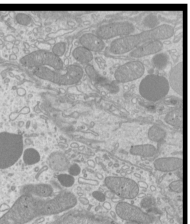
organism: Mouse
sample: Cilia; mouse epididymis